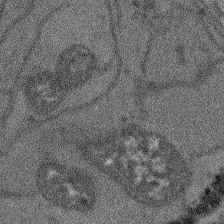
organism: Arabidopsis thaliana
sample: Root tip